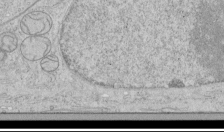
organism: Human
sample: Mitochondria in HCT116 cells